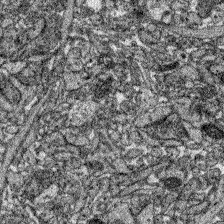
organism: Zebrafish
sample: Larval olfactory bulb